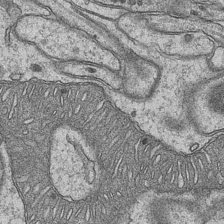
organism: Mouse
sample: CA1 Hippocampus